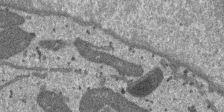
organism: Human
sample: Lung epithelial cells infected with SARS-CoV-2